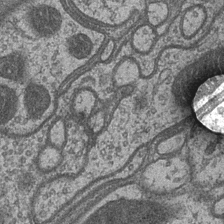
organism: Drosophila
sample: Optic medulla